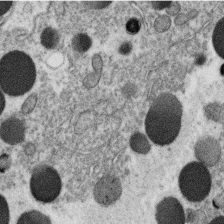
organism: C. elegans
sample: C. elegans oocyte; sperm cells